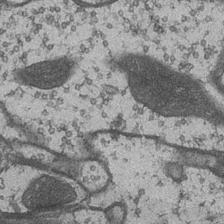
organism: Drosophila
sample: Optic medulla